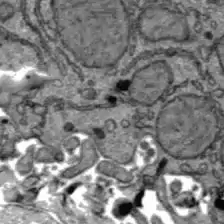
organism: C57BL Mouse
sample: Liver